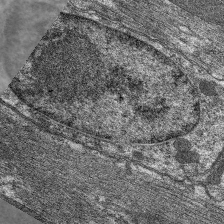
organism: C. elegans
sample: Pharynx